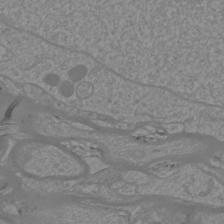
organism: Mouse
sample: Cortical neurons